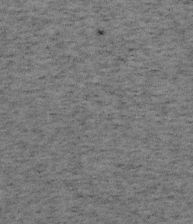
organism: Mouse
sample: OT-I killer T cells with ID8 ovarian cancer cells